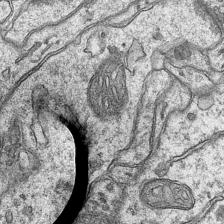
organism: Mouse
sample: CA1 Hippocampus